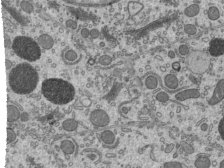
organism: Mouse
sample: Mouse epididymis efferent ductule cilia